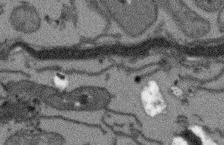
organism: Arabidopsis thaliana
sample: Root tip